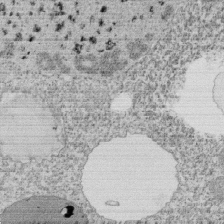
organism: Tetrahymena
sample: Cilia in tetrahymena